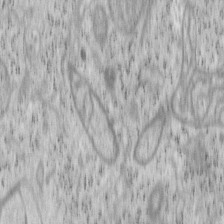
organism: Human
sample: HeLa cells